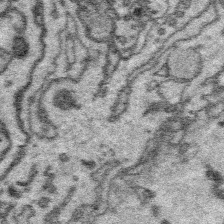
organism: Platynereis dumerilii